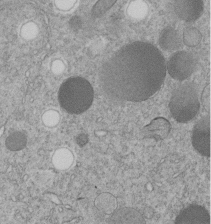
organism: C. elegans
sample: C. elegans embryo early stage